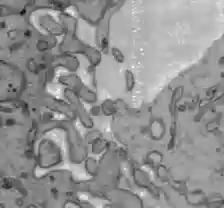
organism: C57BL Mouse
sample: Liver